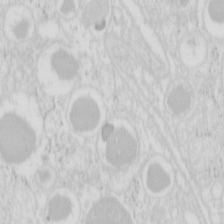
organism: Mouse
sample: Pancreas